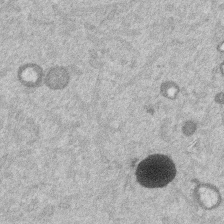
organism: Mouse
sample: Dividing mouse embryo 1 cell stage